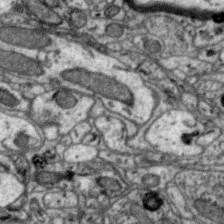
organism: Zebra finch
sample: Brain